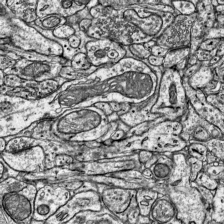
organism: Mouse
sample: Visual Cortex